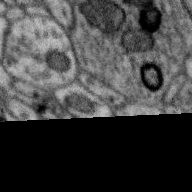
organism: Zebra finch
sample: Brain